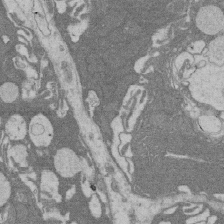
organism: Rat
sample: Salivary granule